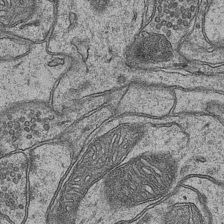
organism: Mouse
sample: CA1 Hippocampus